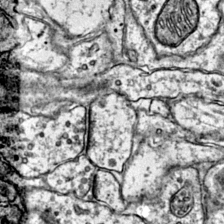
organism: Mouse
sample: Primary visual cortex